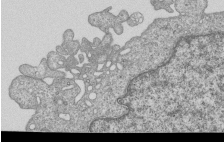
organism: Human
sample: MDA-MB-231 cells